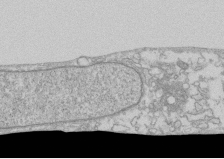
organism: Human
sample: CRL-1474